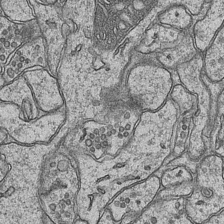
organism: Mouse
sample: CA1 Hippocampus